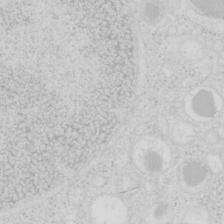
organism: Mouse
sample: Pancreas